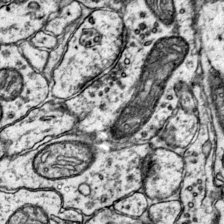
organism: Mouse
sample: Primary visual cortex